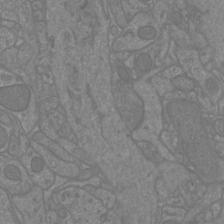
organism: Mouse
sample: Cortical neurons